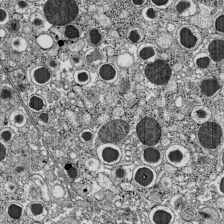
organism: C57BL Mouse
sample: Pancreatic islet